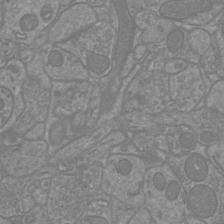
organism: Mouse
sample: Cortical neurons